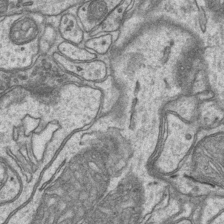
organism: Mouse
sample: CA1 Hippocampus